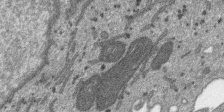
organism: Human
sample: Lung epithelial cells infected with SARS-CoV-2